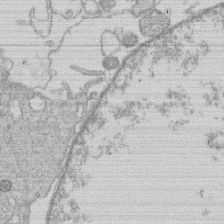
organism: Human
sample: Macrophage cells